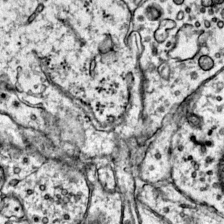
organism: Mouse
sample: Primary visual cortex